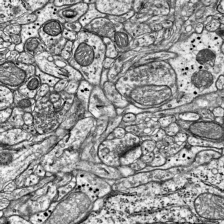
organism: Mouse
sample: Visual Cortex